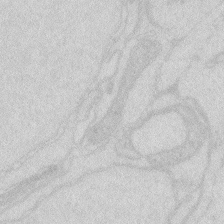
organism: Zebrafish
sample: Macrophage